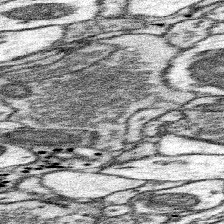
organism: Mouse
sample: Somatosensory cortex neuropil